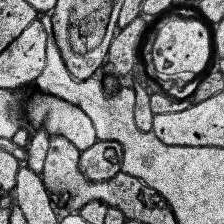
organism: Human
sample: Temporal Lobe